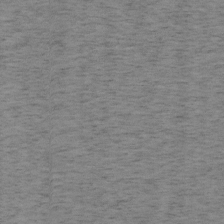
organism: Mouse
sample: OT-I killer T cells with ID8 ovarian cancer cells